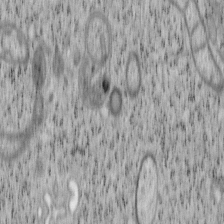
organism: Human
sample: HeLa cells